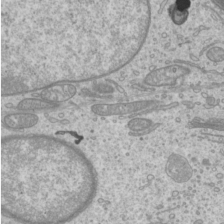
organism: Mouse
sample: Cilia; mouse epididymis